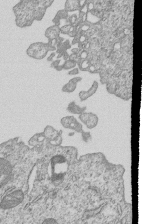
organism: Human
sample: MDA-MB-231 cells